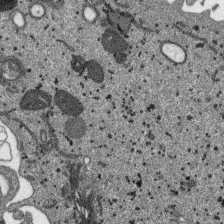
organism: Human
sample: Lung epithelial cells infected with SARS-CoV-2